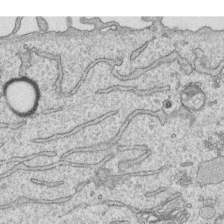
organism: Human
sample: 1205lu cells